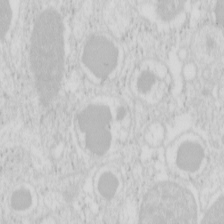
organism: Mouse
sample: Pancreas